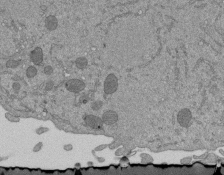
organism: Mouse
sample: ED-1 cell nuclei; centrioles